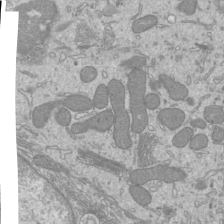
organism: Mouse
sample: Cilia; mouse epididymis